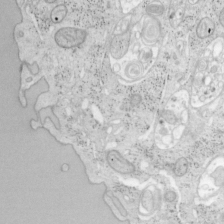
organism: Mouse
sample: OT-I killer T cells with ID8 ovarian cancer cells